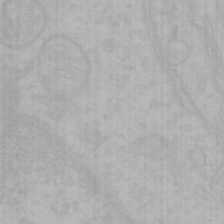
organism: Mouse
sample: Choroid plexus